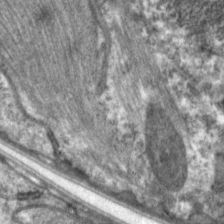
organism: C. elegans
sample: Pharynx